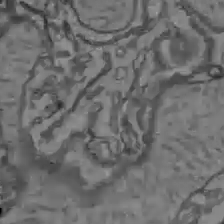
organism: C57BL Mouse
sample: Liver